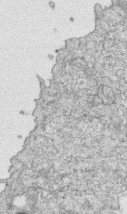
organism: Human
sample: HeLa cell HIV synapse